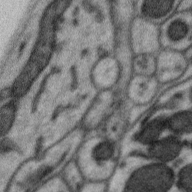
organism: Zebra finch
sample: Brain